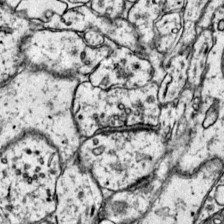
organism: Mouse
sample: Primary visual cortex